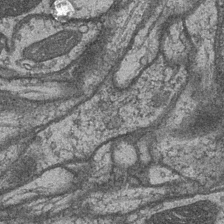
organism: Drosophila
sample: Optic medulla